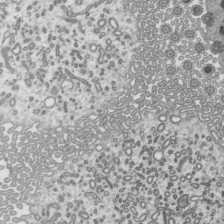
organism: Mouse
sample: Mouse epididymis efferent ductule cilia